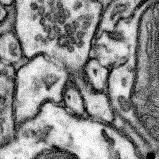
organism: Mouse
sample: Somatosensory cortex neuropil